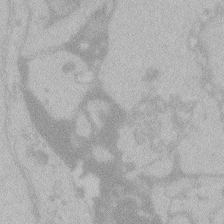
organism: Zebrafish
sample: Macrophage infected with Toxoplasma gondii